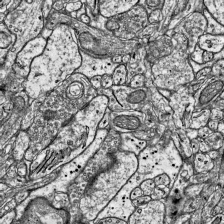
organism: Mouse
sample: Visual Cortex